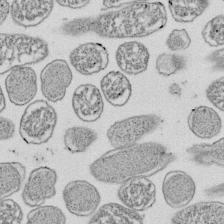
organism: E. coli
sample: Bacterial nucleoid